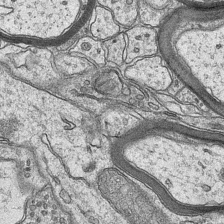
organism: Mouse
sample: CA1 Hippocampus